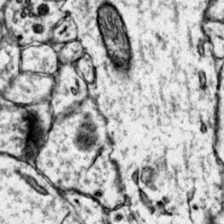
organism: Mouse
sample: Primary visual cortex